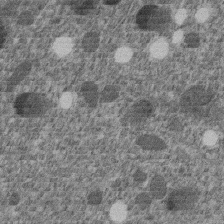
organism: C. elegans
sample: C. elegans embryo early stage